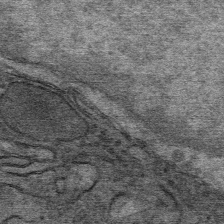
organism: Mouse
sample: Mouse Salivary gland